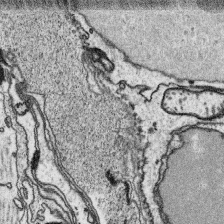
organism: Platynereis dumerilii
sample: Parapodia